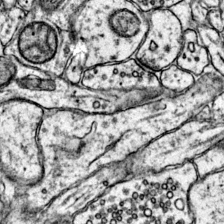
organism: Mouse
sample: Primary visual cortex